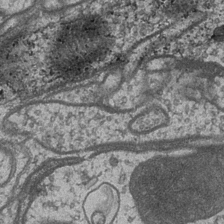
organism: Drosophila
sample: Optic medulla